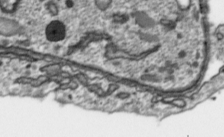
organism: Toxoplasma gondii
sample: Parasites in a vacuole inside a host cell